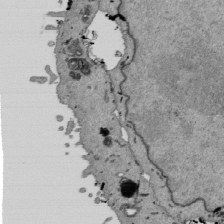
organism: Mouse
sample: ED-1 cell nuclei; centrioles